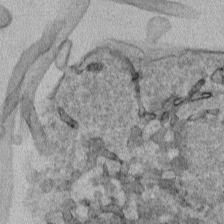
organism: Human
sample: Mitochondria in HCT116 cells